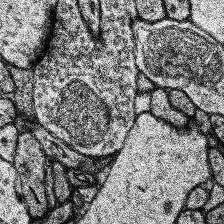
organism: Human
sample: Temporal Lobe